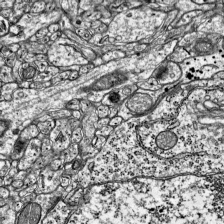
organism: Mouse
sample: Visual Cortex